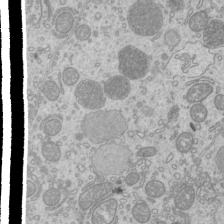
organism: Mouse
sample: Cilia; mouse epididymis